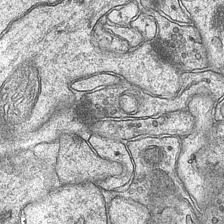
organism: Mouse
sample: CA1 Hippocampus